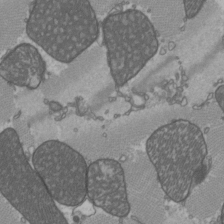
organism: C57BL Mouse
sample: Heart